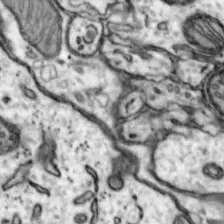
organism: Mouse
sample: Nucleus accumbens